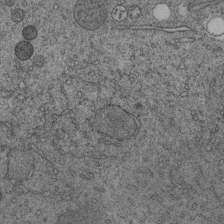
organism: C. elegans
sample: C. elegans embryo early stage